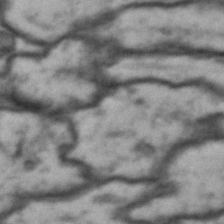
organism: Drosophila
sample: Brain